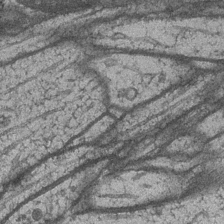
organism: Drosophila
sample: Optic medulla